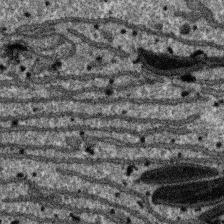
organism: Human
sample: Lung epithelial cells infected with SARS-CoV-2